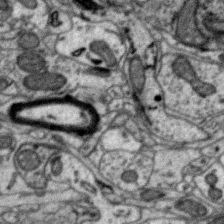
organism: Zebra finch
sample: Brain